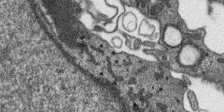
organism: Human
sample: Lung epithelial cells infected with SARS-CoV-2